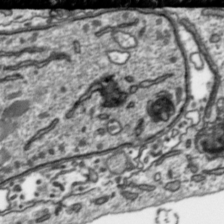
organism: Toxoplasma gondii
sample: Parasites in a vacuole inside a host cell